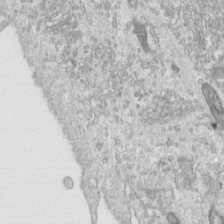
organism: Human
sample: Centriole in RPE cells